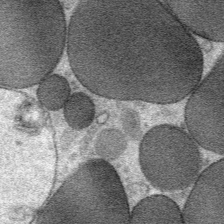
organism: Mouse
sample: Mouse Salivary gland